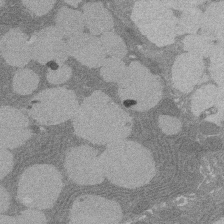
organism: Rat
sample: Salivary granule